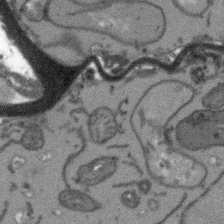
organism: Arabidopsis thaliana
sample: Root tip